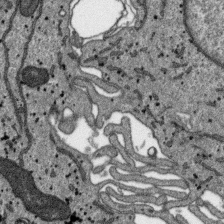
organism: Human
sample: Lung epithelial cells, uninfected (mock) control